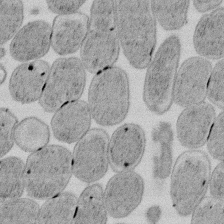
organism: E. coli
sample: Bacterial nucleoid